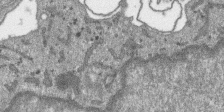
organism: Human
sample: Lung epithelial cells infected with SARS-CoV-2